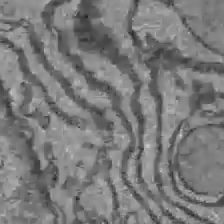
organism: C57BL Mouse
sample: Liver